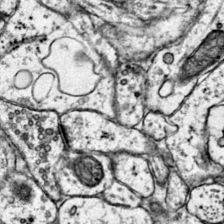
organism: Mouse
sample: Primary visual cortex